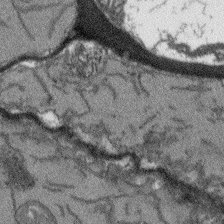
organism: Arabidopsis thaliana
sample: Root tip